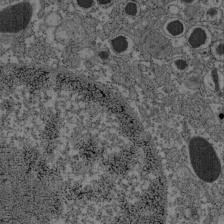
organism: C57BL Mouse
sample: Pancreatic islet